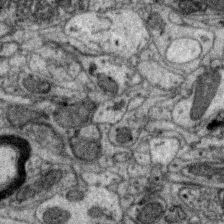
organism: Zebra finch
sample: Brain